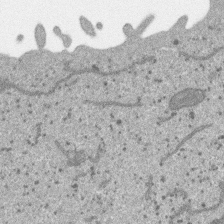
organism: Human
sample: Lung epithelial cells infected with SARS-CoV-2